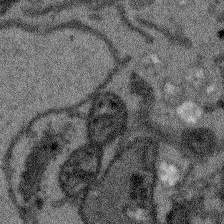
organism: Arabidopsis thaliana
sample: Root tip